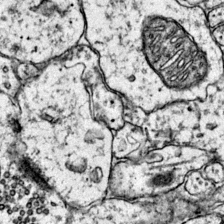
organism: Mouse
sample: Primary visual cortex